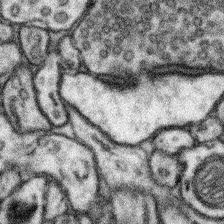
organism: Mouse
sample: Somatosensory cortex neuropil